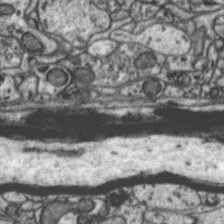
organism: Zebra finch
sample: Brain